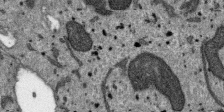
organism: Human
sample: Lung epithelial cells, uninfected (mock) control